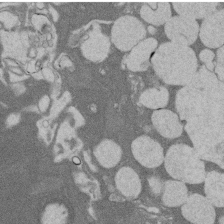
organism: Rat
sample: Salivary granule